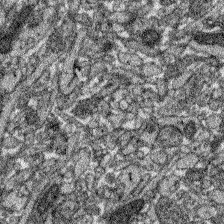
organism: Zebrafish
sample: Larval olfactory bulb